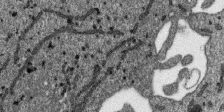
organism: Human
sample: Lung epithelial cells infected with SARS-CoV-2